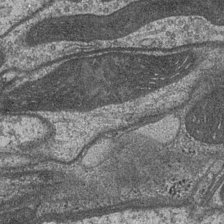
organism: Drosophila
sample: Optic medulla